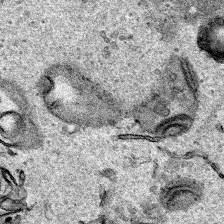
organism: Human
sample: Mitochondria in HCT116 cells